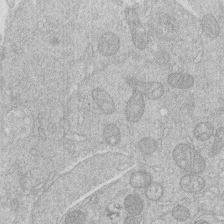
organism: Human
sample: Macrophage cells